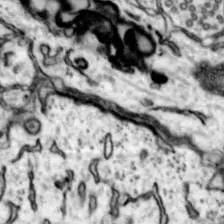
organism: Mouse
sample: Nucleus accumbens